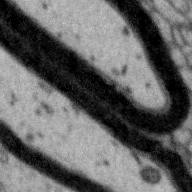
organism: Zebra finch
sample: Brain